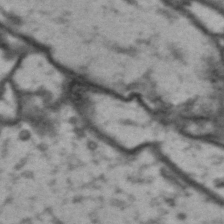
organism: Drosophila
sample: Brain